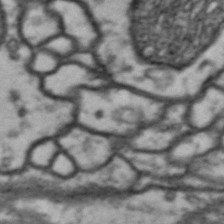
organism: Drosophila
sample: Brain